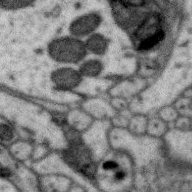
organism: Zebra finch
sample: Brain